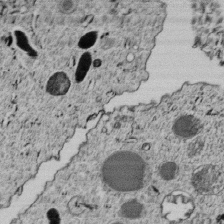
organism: C. elegans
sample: C. elegans embryo early stage